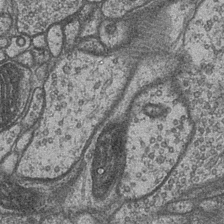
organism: Drosophila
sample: Optic medulla